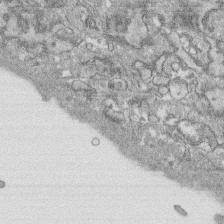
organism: Human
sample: CRL-1474